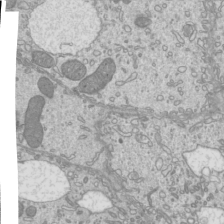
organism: Mouse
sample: Cilia; mouse epididymis